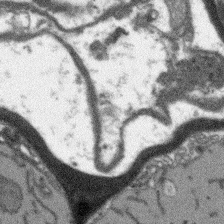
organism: Arabidopsis thaliana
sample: Root tip